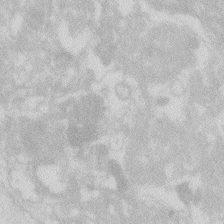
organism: Zebrafish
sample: Macrophage